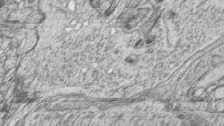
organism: Zebrafish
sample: synaptic ribbons in rod cells and cone cells